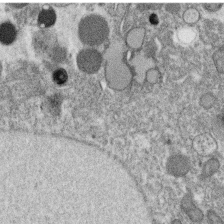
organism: C. elegans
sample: C. elegans oocyte; sperm cells